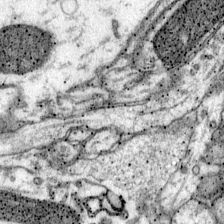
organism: Mouse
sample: Primary visual cortex